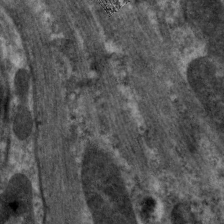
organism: C. elegans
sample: Pharynx